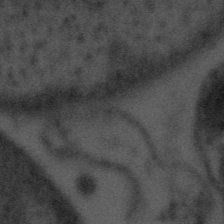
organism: Tuwongella immobilis